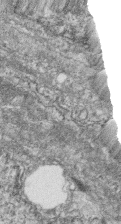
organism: Zebrafish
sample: Cilia; retinal pigment epithelium